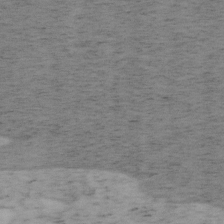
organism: Mouse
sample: OT-I killer T cells with ID8 ovarian cancer cells